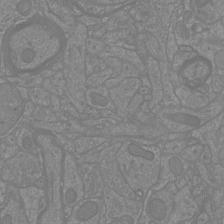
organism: Mouse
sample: Cortical neurons